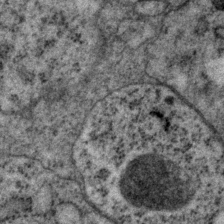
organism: P. pacificus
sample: Pharynx